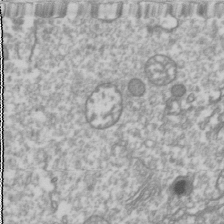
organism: Drosophila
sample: Cell division; meiosis; drosophila spermatocytes